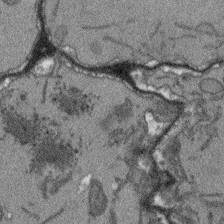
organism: Arabidopsis thaliana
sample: Root tip